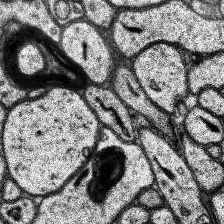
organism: Human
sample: Temporal Lobe